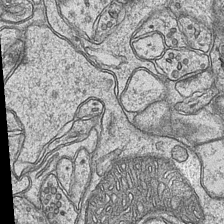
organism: Mouse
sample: CA1 Hippocampus